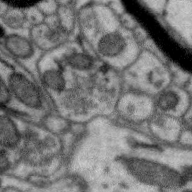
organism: Zebra finch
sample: Brain